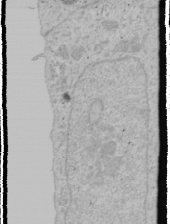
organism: Human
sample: Mitochondria in U2OS cells